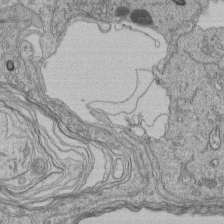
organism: Human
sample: Retinal organoid Rod and Cone cells